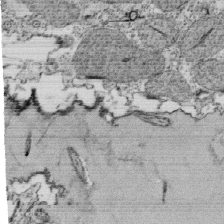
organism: Tetrahymena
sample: Cilia in tetrahymena